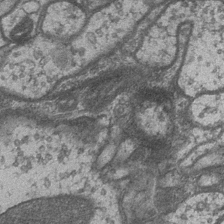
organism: Drosophila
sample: Optic medulla